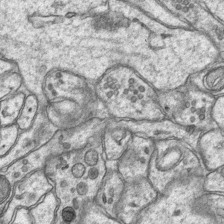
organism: Mouse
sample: CA1 Hippocampus